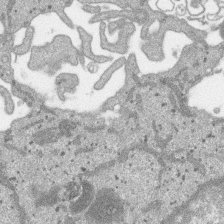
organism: Human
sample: Lung epithelial cells infected with SARS-CoV-2